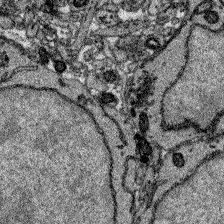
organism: Zebrafish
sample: Larval olfactory bulb